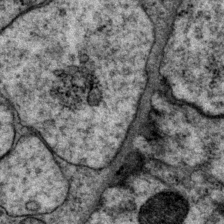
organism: P. pacificus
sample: Pharynx